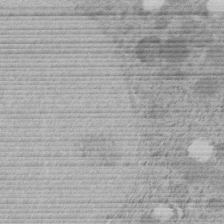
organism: C. elegans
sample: C. elegans embryo early stage